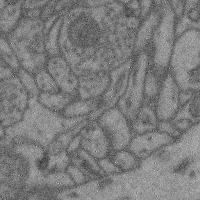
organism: Mouse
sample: Cerebral cortex